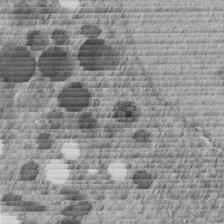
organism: C. elegans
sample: C. elegans embryo early stage